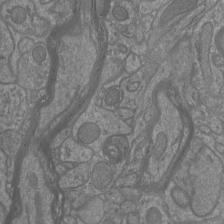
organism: Mouse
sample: Cortical neurons